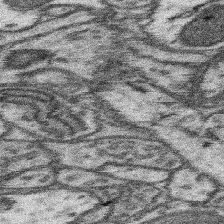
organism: Mouse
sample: Somatosensory cortex neuropil